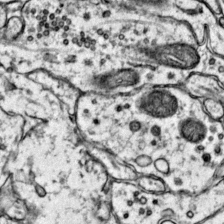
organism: Mouse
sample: Primary visual cortex